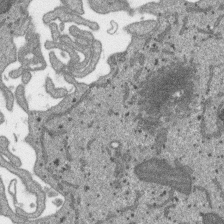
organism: Human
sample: Lung epithelial cells infected with SARS-CoV-2